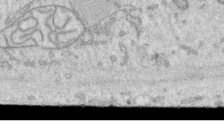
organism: Human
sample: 1205lu cells